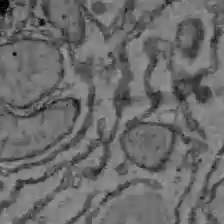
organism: C57BL Mouse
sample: Liver